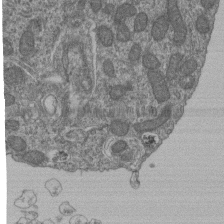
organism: Human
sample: Retinal organoid Rod and Cone cells